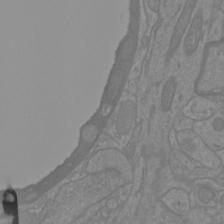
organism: Mouse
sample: Cortical neurons